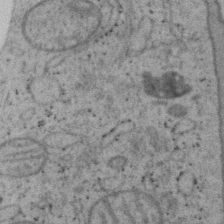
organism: Human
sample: HeLa cells